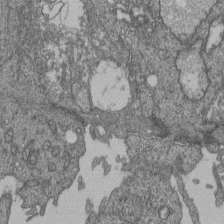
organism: Human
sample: Retinal organoid Rod and Cone cells